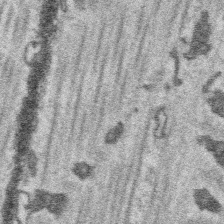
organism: Platynereis dumerilii